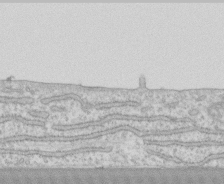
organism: Human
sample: CRL-1474